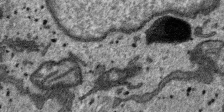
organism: Human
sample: Lung epithelial cells, uninfected (mock) control